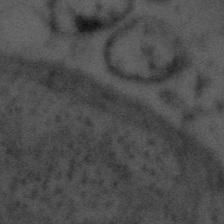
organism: Tuwongella immobilis